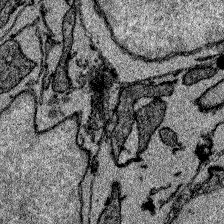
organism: Zebrafish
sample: Larval olfactory bulb